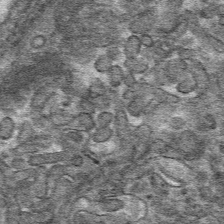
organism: Mouse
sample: Mouse hepatocytes